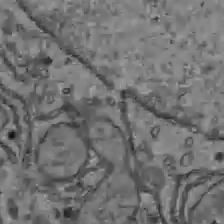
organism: C57BL Mouse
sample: Liver